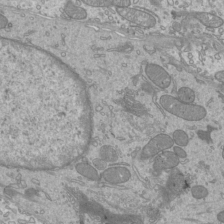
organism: Mouse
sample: Cilia; mouse epididymis